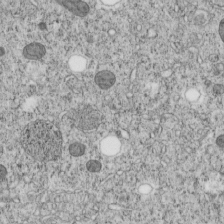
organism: C. elegans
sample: C. elegans embryo early stage